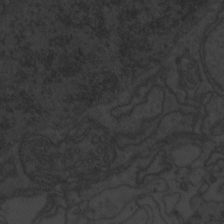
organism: Zebrafish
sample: Macrophage infected with Toxoplasma gondii